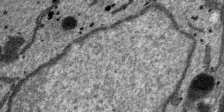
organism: Human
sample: Lung epithelial cells, uninfected (mock) control